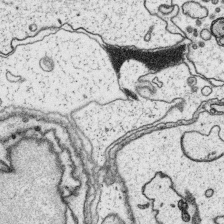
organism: Platynereis dumerilii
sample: Parapodia